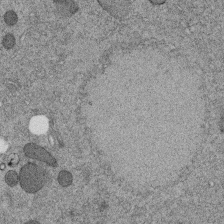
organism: C. elegans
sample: C. elegans embryo early stage